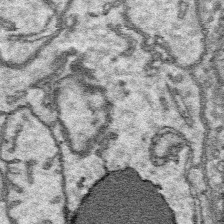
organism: Platynereis dumerilii